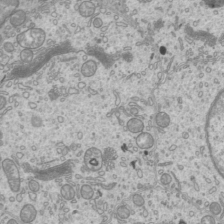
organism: Mouse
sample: Cilia; mouse epididymis